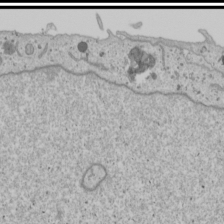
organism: Human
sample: Mitochondria in U2OS cells